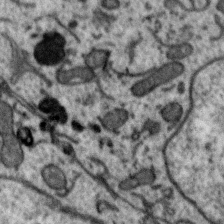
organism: Zebra finch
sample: Brain